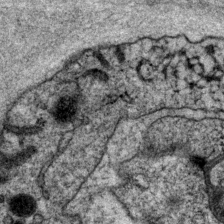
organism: P. pacificus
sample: Pharynx